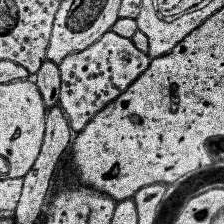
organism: Human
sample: Temporal Lobe